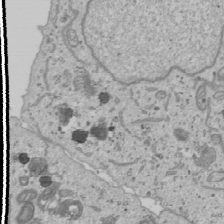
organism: Human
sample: Mitochondria in U2OS cells